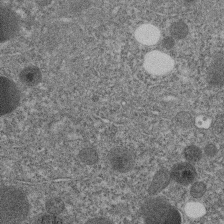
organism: C. elegans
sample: C. elegans embryo early stage